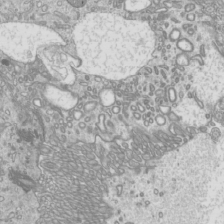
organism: Mouse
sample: Cilia; mouse epididymis